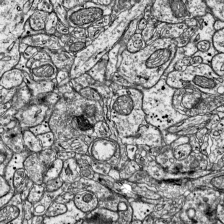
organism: Mouse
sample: Visual Cortex